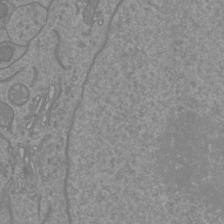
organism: Mouse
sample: Cortical neurons